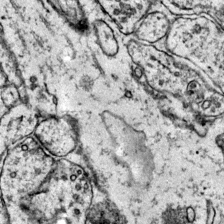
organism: Mouse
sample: Primary visual cortex